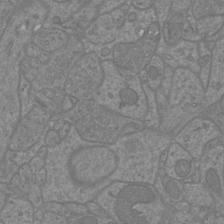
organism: Mouse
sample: Cortical neurons